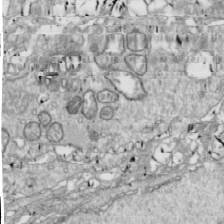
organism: Drosophila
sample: Cell division; meiosis; drosophila spermatocytes